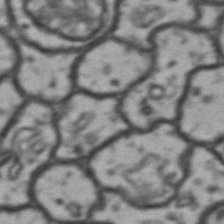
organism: Drosophila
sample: Brain